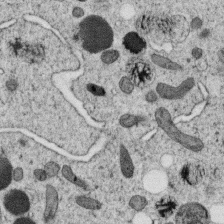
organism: C. elegans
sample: C. elegans oocyte; sperm cells